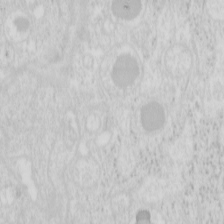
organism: Mouse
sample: Pancreas